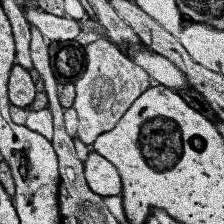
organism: Human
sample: Temporal Lobe